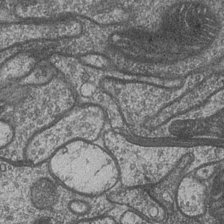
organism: Drosophila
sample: Optic medulla